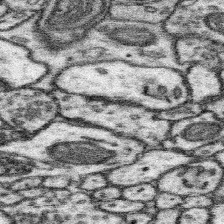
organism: Mouse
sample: Somatosensory cortex neuropil